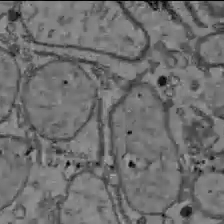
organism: C57BL Mouse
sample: Liver